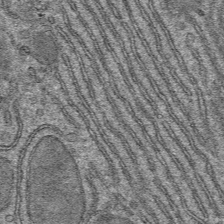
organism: Mouse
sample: Mouse hepatocytes